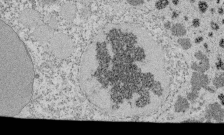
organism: Tetrahymena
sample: Cilia in tetrahymena